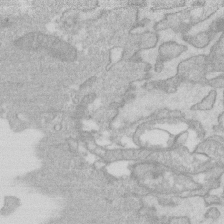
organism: Human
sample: Fibroblast cells